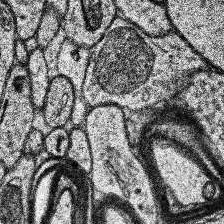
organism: Human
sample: Temporal Lobe